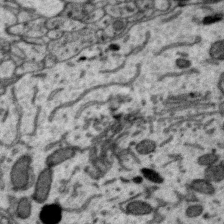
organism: Zebra finch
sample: Brain